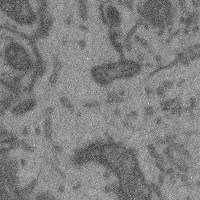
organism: Mouse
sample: Cerebral cortex